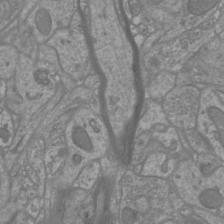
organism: Mouse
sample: Cortical neurons